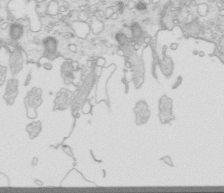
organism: Mouse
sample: Multiciliated cells